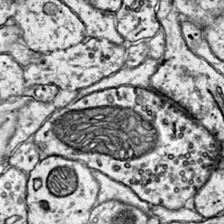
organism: Mouse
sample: Primary visual cortex